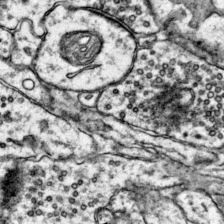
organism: Mouse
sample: Primary visual cortex